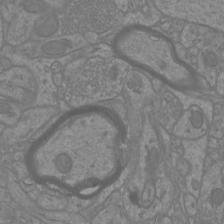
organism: Mouse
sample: Cortical neurons